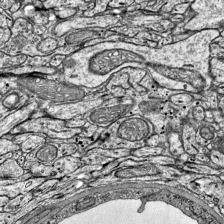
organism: Mouse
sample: Visual Cortex